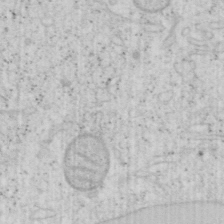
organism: Human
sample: HeLa cells